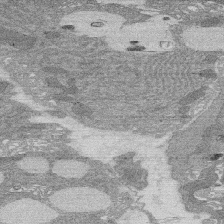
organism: Rat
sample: Salivary granule